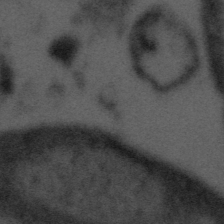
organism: Tuwongella immobilis